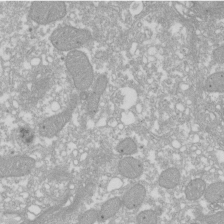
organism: Xenopus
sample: Cilia; centrioles in frog embryo cells